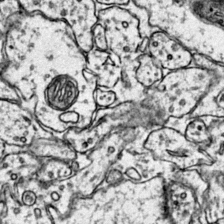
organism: Mouse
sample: Primary visual cortex